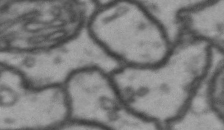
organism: Drosophila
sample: Brain